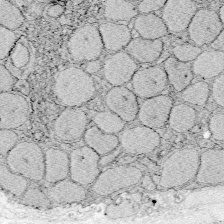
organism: Zebrafish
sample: Whole-Brain